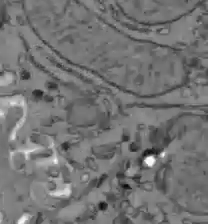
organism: C57BL Mouse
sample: Liver